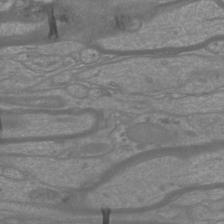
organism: Mouse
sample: Cortical neurons